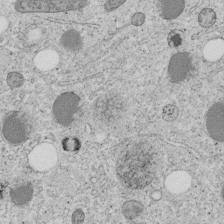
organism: C. elegans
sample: C. elegans embryo early stage